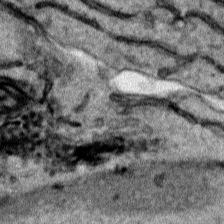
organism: Human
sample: Mitochondria in HCT116 cells